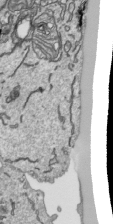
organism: Human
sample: Mitochondria in HCT116 cells